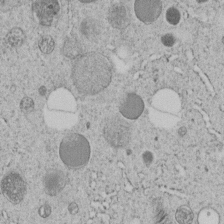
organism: C. elegans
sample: C. elegans embryo early stage